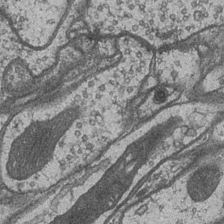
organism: Drosophila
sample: Optic medulla